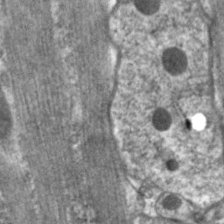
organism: C. elegans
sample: Pharynx